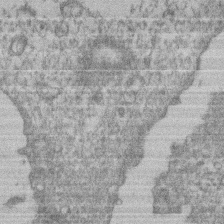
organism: Mouse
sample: T cell stromal cell synapse